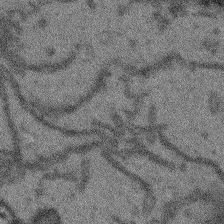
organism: Arabidopsis thaliana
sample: Root tip